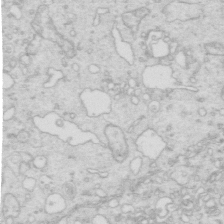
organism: Mouse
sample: Multiciliated cells